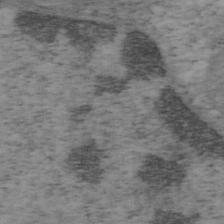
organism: Mouse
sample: OT-I killer T cells with ID8 ovarian cancer cells